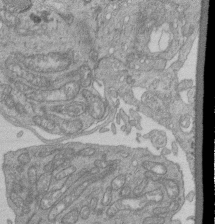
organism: Human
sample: Retinal organoid Rod and Cone cells